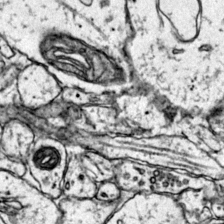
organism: Mouse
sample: Primary visual cortex